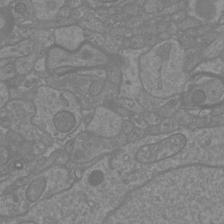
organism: Mouse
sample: Cortical neurons